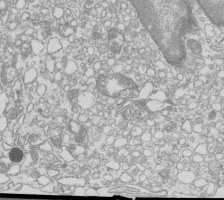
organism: Mouse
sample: Macrophages